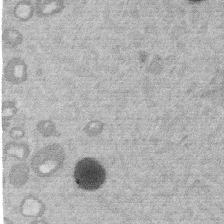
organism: Mouse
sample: Dividing mouse embryo 1 cell stage